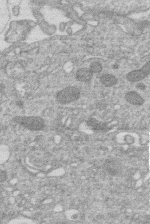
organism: Human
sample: Macrophage cells